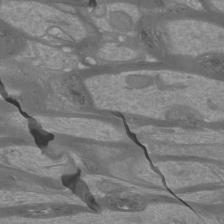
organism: Mouse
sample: Cortical neurons